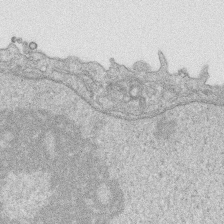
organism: Human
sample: HeLa cell HIV synapse